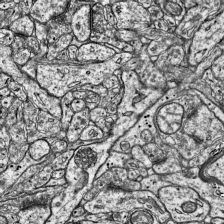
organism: Mouse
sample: Visual Cortex